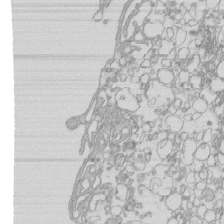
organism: Mouse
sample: Macrophages